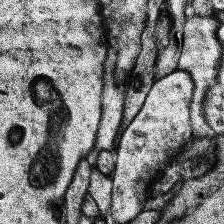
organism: Human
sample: Temporal Lobe